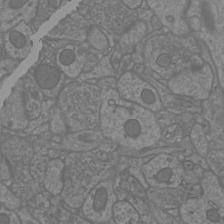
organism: Mouse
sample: Cortical neurons